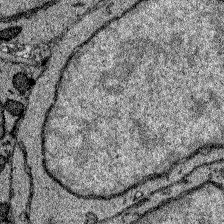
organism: Zebrafish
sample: Larval olfactory bulb